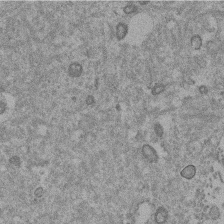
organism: Mouse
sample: Dividing mouse embryo 1 cell stage